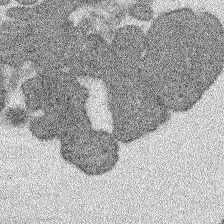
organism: Human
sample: HeLa cells